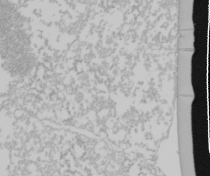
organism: Mouse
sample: Cancer cell death in ED-1 cells